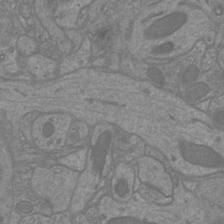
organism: Mouse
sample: Cortical neurons